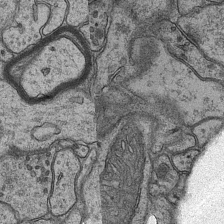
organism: Mouse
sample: CA1 Hippocampus